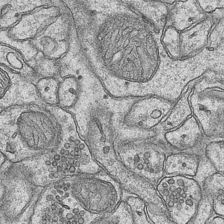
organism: Mouse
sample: CA1 Hippocampus